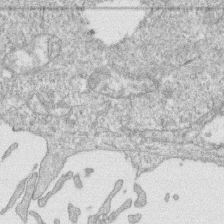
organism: Human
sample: HeLa cell HIV synapse